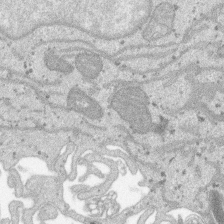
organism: Human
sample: Lung epithelial cells infected with SARS-CoV-2